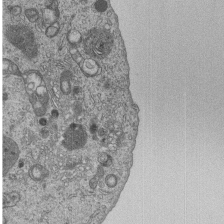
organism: Human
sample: MDA-MB-231 cells